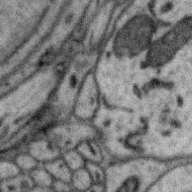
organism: Zebra finch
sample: Brain